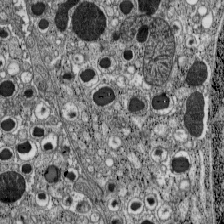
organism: C57BL Mouse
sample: Pancreatic islet